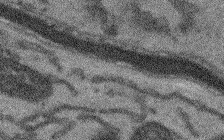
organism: Arabidopsis thaliana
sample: Root tip